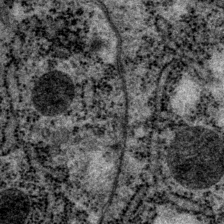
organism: P. pacificus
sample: Pharynx